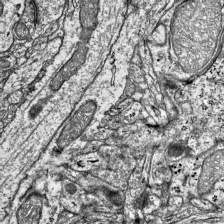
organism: Mouse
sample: Visual Cortex